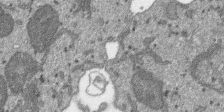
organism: Human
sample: Lung epithelial cells infected with SARS-CoV-2